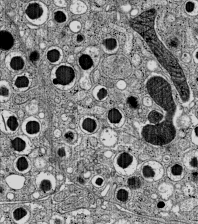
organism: C57BL Mouse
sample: Pancreatic islet